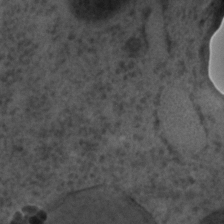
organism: C. elegans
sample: C. elegans embryo